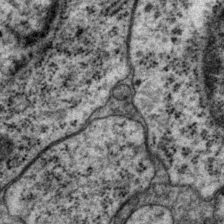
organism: P. pacificus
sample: Pharynx